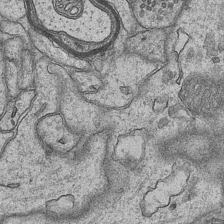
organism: Mouse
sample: CA1 Hippocampus